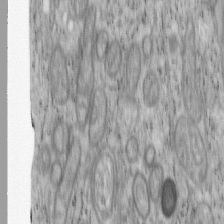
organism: Human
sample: HeLa cells